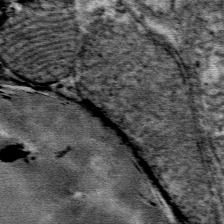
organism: Mouse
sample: Mouse Salivary gland